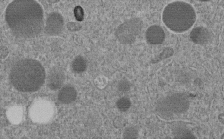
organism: C. elegans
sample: C. elegans embryo early stage